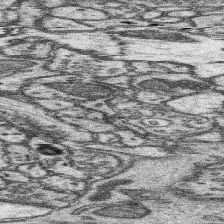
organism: Mouse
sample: Somatosensory cortex neuropil